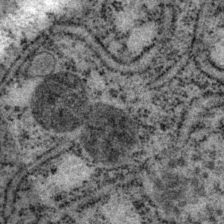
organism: P. pacificus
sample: Pharynx